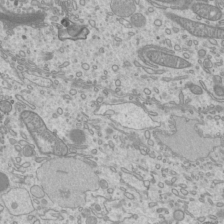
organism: Mouse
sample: Cilia; mouse epididymis